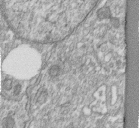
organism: Human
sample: Centriole in fibroblast cells